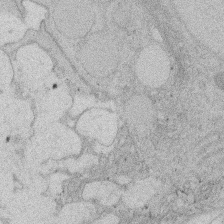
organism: Rat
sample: Salivary granule